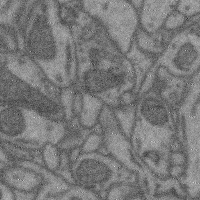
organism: Mouse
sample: Cerebral cortex